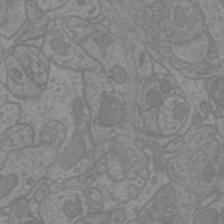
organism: Mouse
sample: Cortical neurons